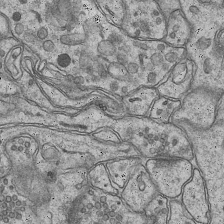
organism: Mouse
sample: CA1 Hippocampus